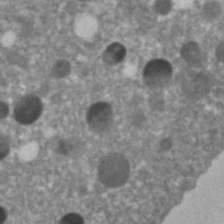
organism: C. elegans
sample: C. elegans embryo